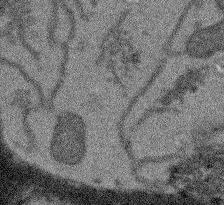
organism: Arabidopsis thaliana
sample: Root tip